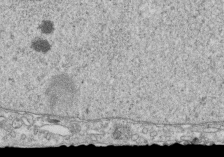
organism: Human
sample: HeLa cell HIV synapse